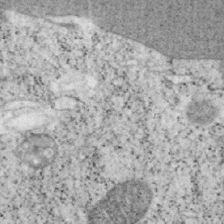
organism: Mouse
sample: OT-I killer T cells with ID8 ovarian cancer cells